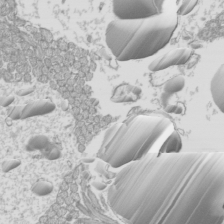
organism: Mouse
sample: Cilia; mouse epididymis